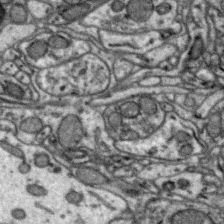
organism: Zebra finch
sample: Brain